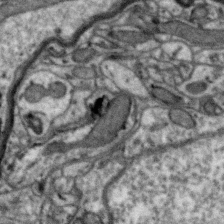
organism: Zebra finch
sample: Brain